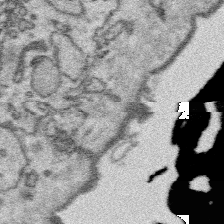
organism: Platynereis dumerilii